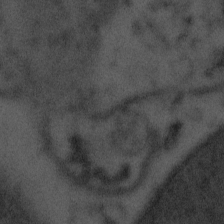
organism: Tuwongella immobilis